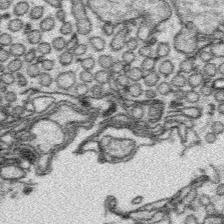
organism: Platynereis dumerilii